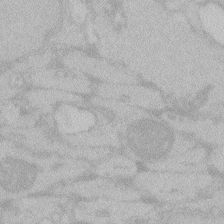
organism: Zebrafish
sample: Macrophage infected with Toxoplasma gondii